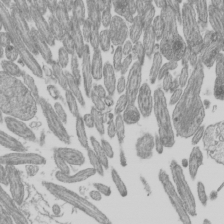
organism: Mouse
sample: Cilia; mouse epididymis